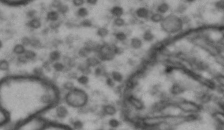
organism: Drosophila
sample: Brain